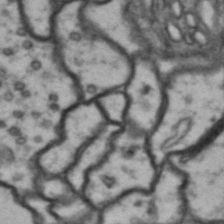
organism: Drosophila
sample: Brain